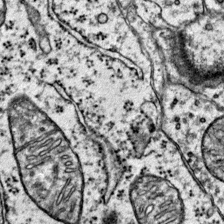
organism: Mouse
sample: Primary visual cortex